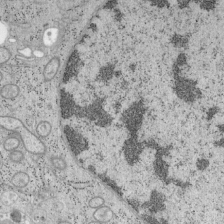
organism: Mouse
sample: OT-I killer T cells with ID8 ovarian cancer cells